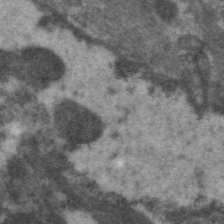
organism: C. elegans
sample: Pharynx